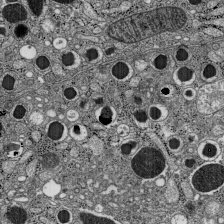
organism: C57BL Mouse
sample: Pancreatic islet